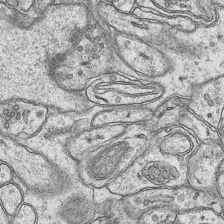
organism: Mouse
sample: CA1 Hippocampus